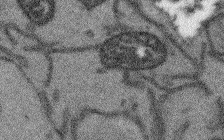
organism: Arabidopsis thaliana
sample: Root tip